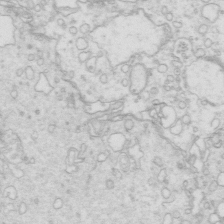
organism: Mouse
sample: Multiciliated cells